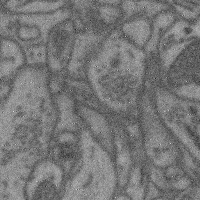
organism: Mouse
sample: Cerebral cortex